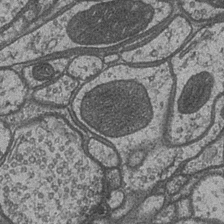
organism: Drosophila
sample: Optic medulla